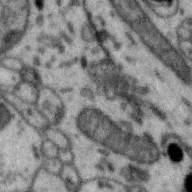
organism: Zebra finch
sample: Brain